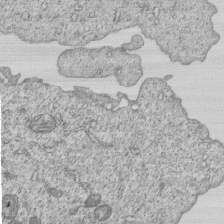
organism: Human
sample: MDA-MB-231 cells